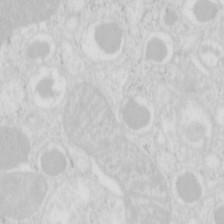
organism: Mouse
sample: Pancreas